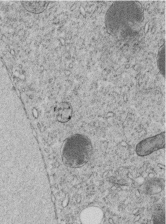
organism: C. elegans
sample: C. elegans embryo early stage